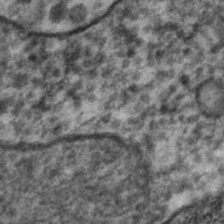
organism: C. elegans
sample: C. elegans embryo